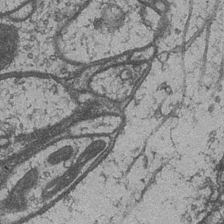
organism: Drosophila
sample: Optic medulla